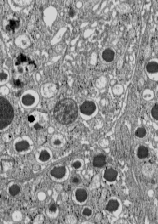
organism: C57BL Mouse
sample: Pancreatic islet